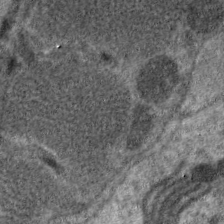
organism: C. elegans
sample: Pharynx